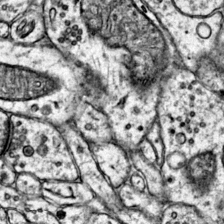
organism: Mouse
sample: Primary visual cortex